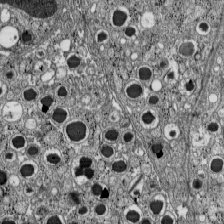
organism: C57BL Mouse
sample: Pancreatic islet